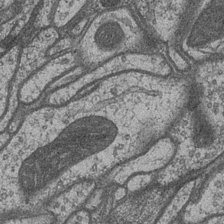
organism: Drosophila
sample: Optic medulla